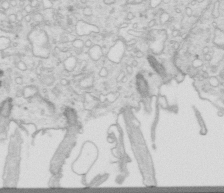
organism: Mouse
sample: Multiciliated cells